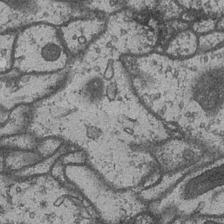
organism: Drosophila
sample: Optic medulla